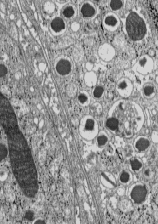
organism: C57BL Mouse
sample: Pancreatic islet